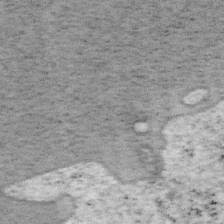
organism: Mouse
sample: OT-I killer T cells with ID8 ovarian cancer cells